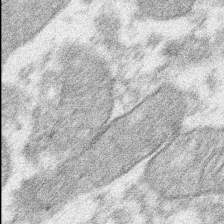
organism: Xenopus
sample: Cilia; centrioles in frog embryo cells